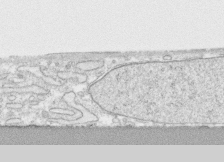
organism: Human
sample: CRL-1474